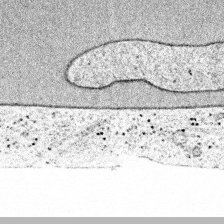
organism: Human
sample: HeLa cells